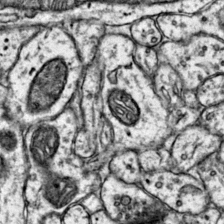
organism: Mouse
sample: Primary visual cortex